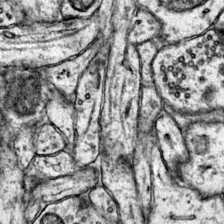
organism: Mouse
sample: Primary visual cortex